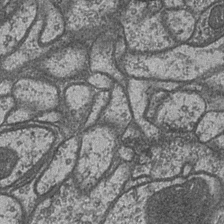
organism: Drosophila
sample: Optic medulla